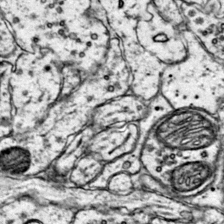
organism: Mouse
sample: Primary visual cortex